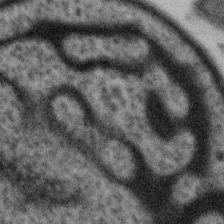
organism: Gemmata obscuriglobus